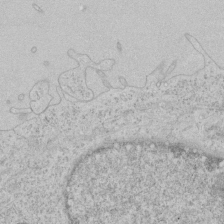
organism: Human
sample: Mitochondria in HCT116 cells